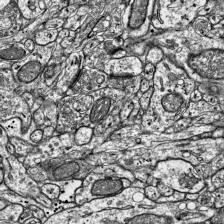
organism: Mouse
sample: Visual Cortex